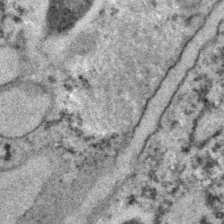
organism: C. elegans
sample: C. elegans embryo